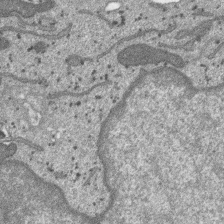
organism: Human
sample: Lung epithelial cells infected with SARS-CoV-2